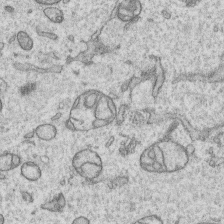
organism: Human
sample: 1205lu cells